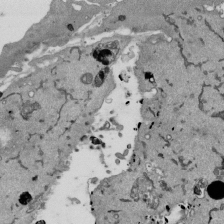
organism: Mouse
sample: ED-1 cell nuclei; centrioles